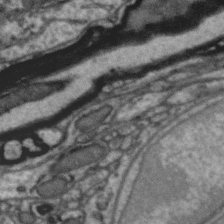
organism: Zebra finch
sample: Brain